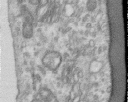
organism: Human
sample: Centriole in RPE cells